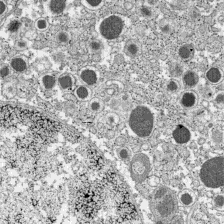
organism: C57BL Mouse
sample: Pancreatic islet